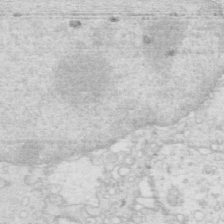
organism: Mouse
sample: Multiciliated cells